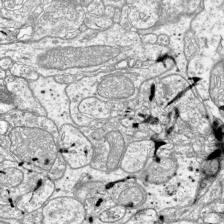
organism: Mouse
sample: Visual Cortex